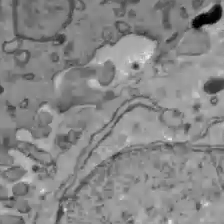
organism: C57BL Mouse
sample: Liver